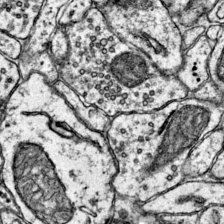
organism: Mouse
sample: Primary visual cortex